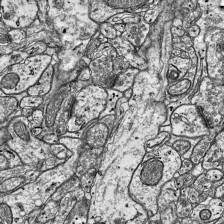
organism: Mouse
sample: Visual Cortex